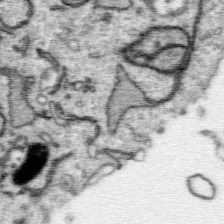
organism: Human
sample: HeLa cells